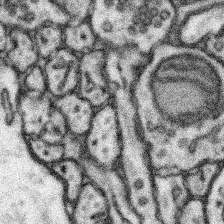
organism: Mouse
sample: Somatosensory cortex neuropil